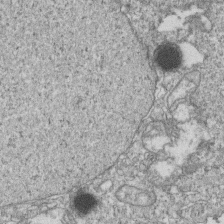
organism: Human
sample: HeLa cell HIV synapse